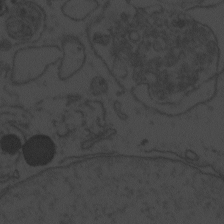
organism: Zebrafish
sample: Macrophage infected with Toxoplasma gondii